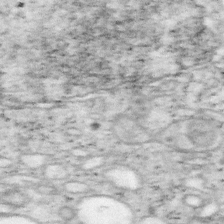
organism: Mouse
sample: OT-I killer T cells with ID8 ovarian cancer cells